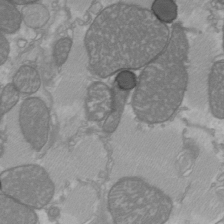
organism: C57BL Mouse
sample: Heart